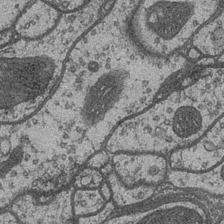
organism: Drosophila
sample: Optic medulla